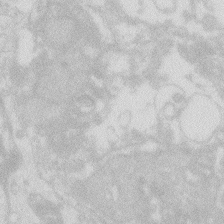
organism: Zebrafish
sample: Macrophage